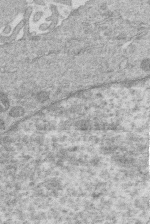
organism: Human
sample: Macrophage cells